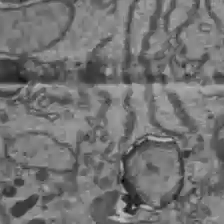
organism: C57BL Mouse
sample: Liver